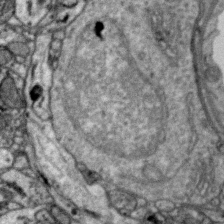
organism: Zebra finch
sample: Brain